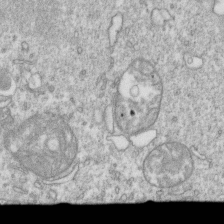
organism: Mouse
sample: Activated OT-1 CD8+ T cells